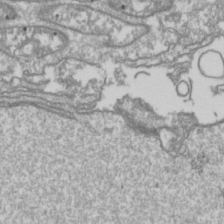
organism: Drosophila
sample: Cell division; meiosis; drosophila spermatocytes